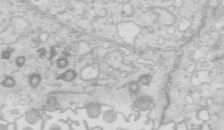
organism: Mouse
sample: Multiciliated cells